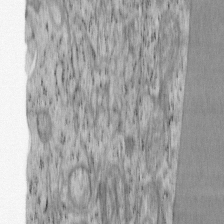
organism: Human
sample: HeLa cells